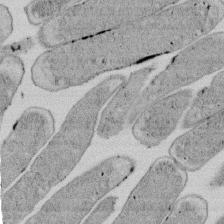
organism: E. coli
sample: Bacterial nucleoid